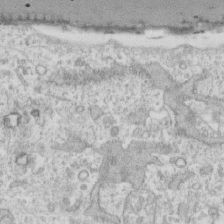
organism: Human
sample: Fibroblast cells